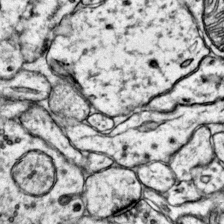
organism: Mouse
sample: Primary visual cortex